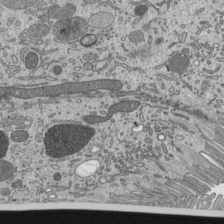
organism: Mouse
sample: Mouse epididymis efferent ductule cilia